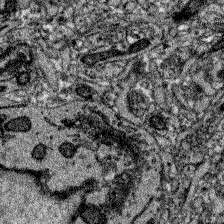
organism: Zebrafish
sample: Larval olfactory bulb